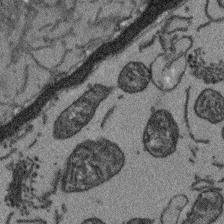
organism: Arabidopsis thaliana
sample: Root tip